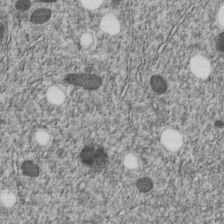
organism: C. elegans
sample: C. elegans embryo early stage